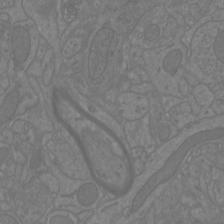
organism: Mouse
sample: Cortical neurons